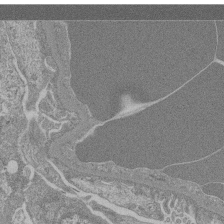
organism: Mouse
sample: Glomerulus